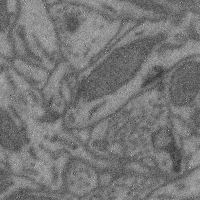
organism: Mouse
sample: Cerebral cortex